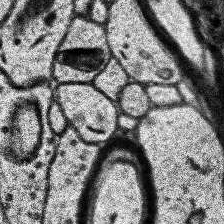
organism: Human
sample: Temporal Lobe